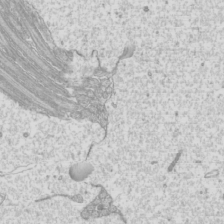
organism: Mouse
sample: Cilia; mouse epididymis